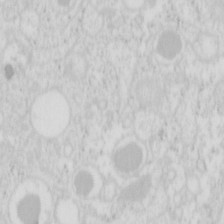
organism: Mouse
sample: Pancreas